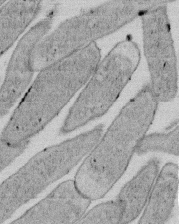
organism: E. coli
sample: Bacterial nucleoid